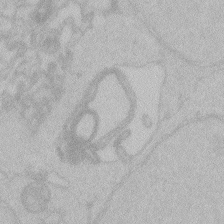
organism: Zebrafish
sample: Macrophage infected with Toxoplasma gondii